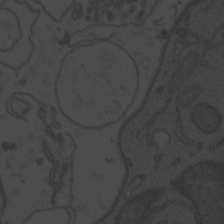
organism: Zebrafish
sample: Macrophage infected with Toxoplasma gondii